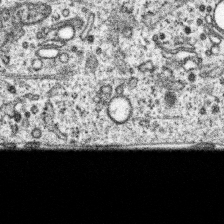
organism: Human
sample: HeLa cells